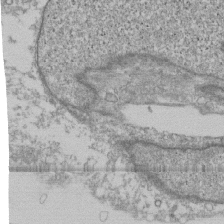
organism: Human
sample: Fibroblast cells